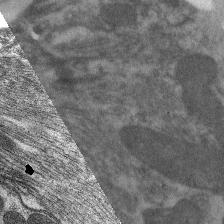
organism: C. elegans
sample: Pharynx